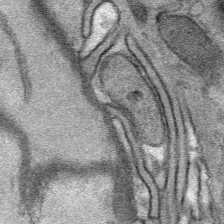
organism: Mouse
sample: Mouse Salivary gland